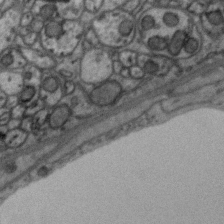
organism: Zebra finch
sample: Brain